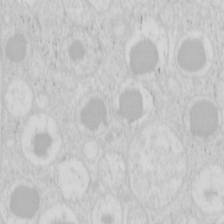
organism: Mouse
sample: Pancreas